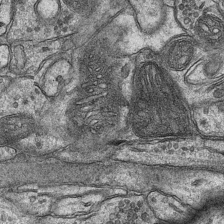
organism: Mouse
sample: CA1 Hippocampus